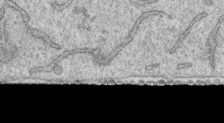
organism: Human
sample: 1205lu cells